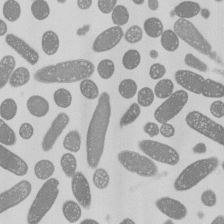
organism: E. coli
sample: Bacterial nucleoid